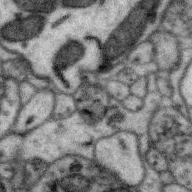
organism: Zebra finch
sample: Brain